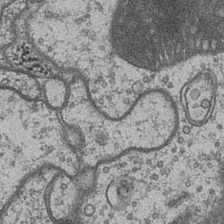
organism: Drosophila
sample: Optic medulla